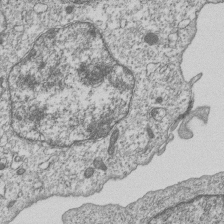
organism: Human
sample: MDA-MB-231 cells